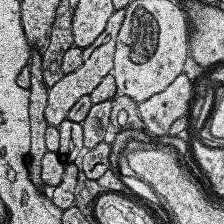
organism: Human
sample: Temporal Lobe